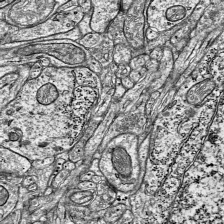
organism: Mouse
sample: Visual Cortex